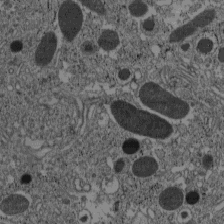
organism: C57BL Mouse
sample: Pancreatic islet